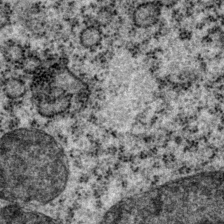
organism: P. pacificus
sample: Pharynx